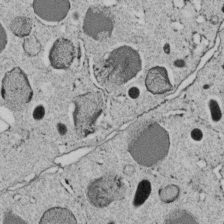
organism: C. elegans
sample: C. elegans embryo early stage